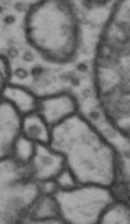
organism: Drosophila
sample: Brain